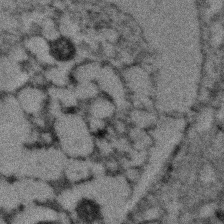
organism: Zebrafish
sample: Zebrafish embryo